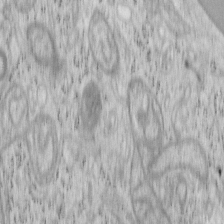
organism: Human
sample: HeLa cells